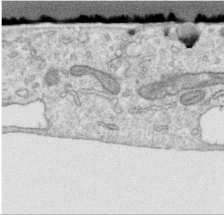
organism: Human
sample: Centriole in RPE cells